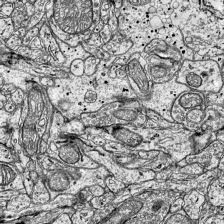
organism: Mouse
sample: Visual Cortex